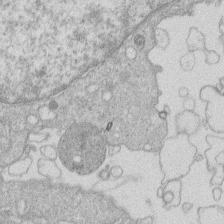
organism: Human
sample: Macrophage cells